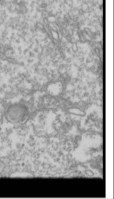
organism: Drosophila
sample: Cell division; meiosis; drosophila spermatocytes